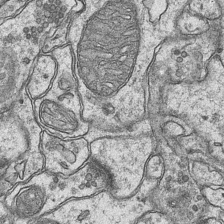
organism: Mouse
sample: CA1 Hippocampus